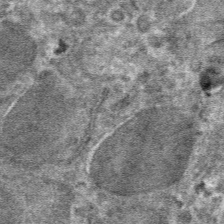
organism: Mouse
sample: Mouse hepatocytes